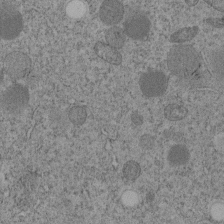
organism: C. elegans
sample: C. elegans embryo early stage